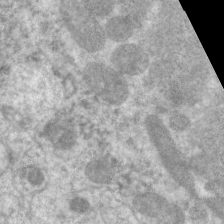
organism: C. elegans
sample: Pharynx